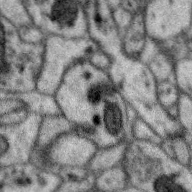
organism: Zebra finch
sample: Brain